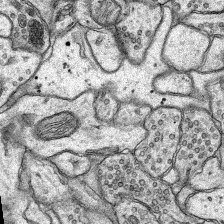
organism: Rat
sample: Hippocampus